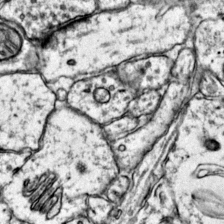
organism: Mouse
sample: Primary visual cortex